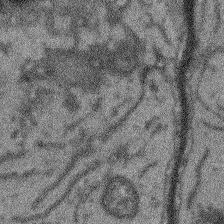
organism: Arabidopsis thaliana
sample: Root tip